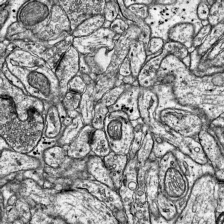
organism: Mouse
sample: Visual Cortex